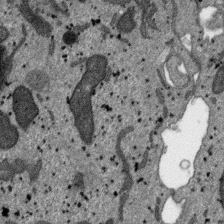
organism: Human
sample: Lung epithelial cells, uninfected (mock) control